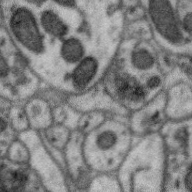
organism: Zebra finch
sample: Brain